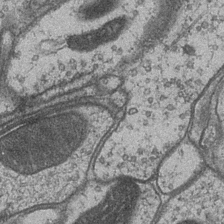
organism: Drosophila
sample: Optic medulla